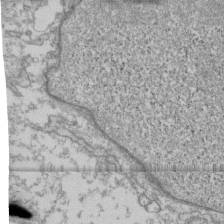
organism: Human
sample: Fibroblast cells